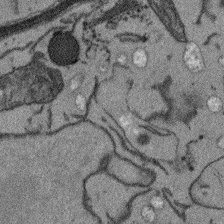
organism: Arabidopsis thaliana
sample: Root tip